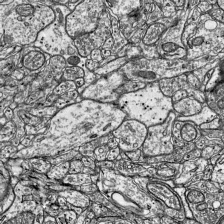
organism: Mouse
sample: Visual Cortex